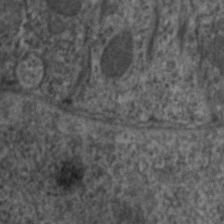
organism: C. elegans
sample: Pharynx